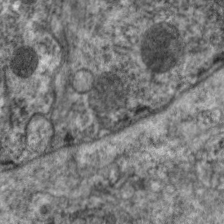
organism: C. elegans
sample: Pharynx